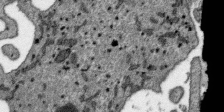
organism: Human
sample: Lung epithelial cells, uninfected (mock) control